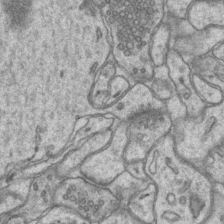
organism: Mouse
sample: CA1 Hippocampus